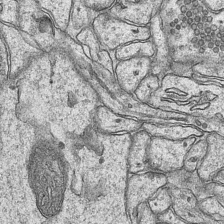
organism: Mouse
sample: CA1 Hippocampus